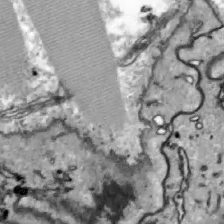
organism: Zebrafish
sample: Actinotrichia fibers